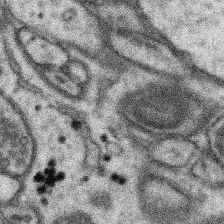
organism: Mouse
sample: Somatosensory cortex neuropil